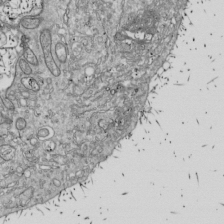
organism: Drosophila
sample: Cell division; meiosis; drosophila spermatocytes